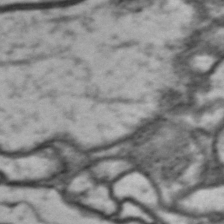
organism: Drosophila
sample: Brain